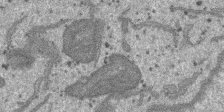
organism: Human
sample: Lung epithelial cells infected with SARS-CoV-2